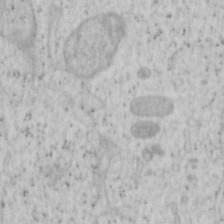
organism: Human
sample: HeLa cells